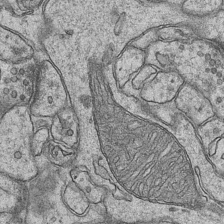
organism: Mouse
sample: CA1 Hippocampus